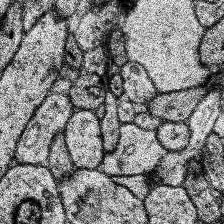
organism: Human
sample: Temporal Lobe